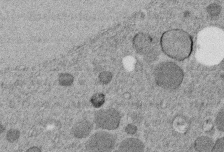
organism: C. elegans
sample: C. elegans embryo early stage